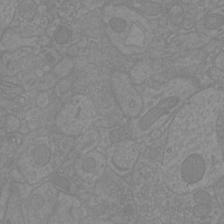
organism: Mouse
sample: Cortical neurons